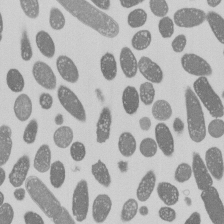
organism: E. coli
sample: Bacterial nucleoid